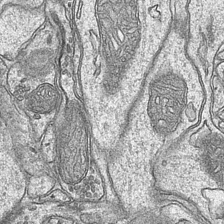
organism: Mouse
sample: CA1 Hippocampus